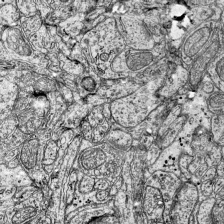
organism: Mouse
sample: Visual Cortex